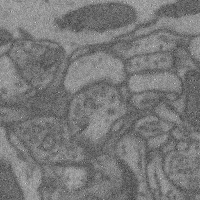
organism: Mouse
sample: Cerebral cortex